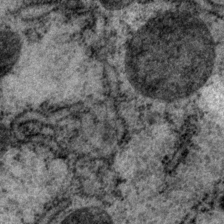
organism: P. pacificus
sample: Pharynx